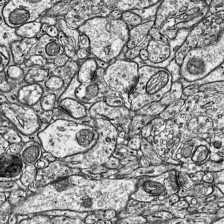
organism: Mouse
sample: Visual Cortex